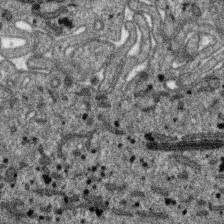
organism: Human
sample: Lung epithelial cells infected with SARS-CoV-2